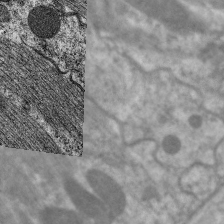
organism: C. elegans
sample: Pharynx